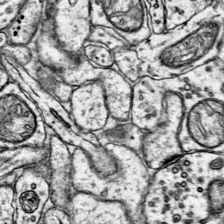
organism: Mouse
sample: Primary visual cortex